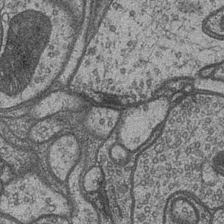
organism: Drosophila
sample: Optic medulla